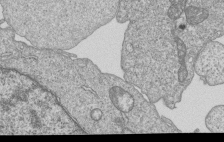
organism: Human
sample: MDA-MB-231 cells